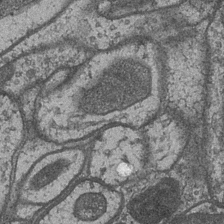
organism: Drosophila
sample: Optic medulla